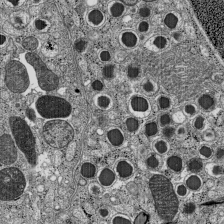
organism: C57BL Mouse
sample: Pancreatic islet